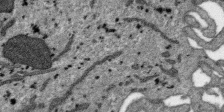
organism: Human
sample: Lung epithelial cells, uninfected (mock) control